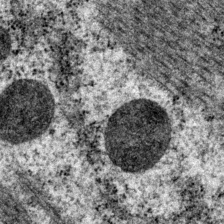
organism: P. pacificus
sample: Pharynx